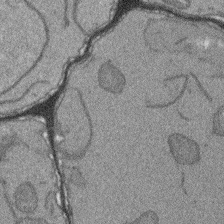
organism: Arabidopsis thaliana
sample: Root tip